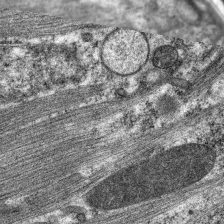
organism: C. elegans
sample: Pharynx